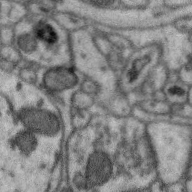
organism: Zebra finch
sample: Brain